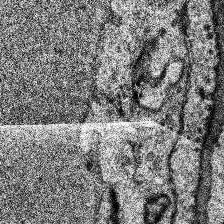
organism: Human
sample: Temporal Lobe